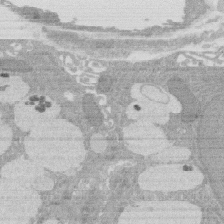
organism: Rat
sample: Salivary granule